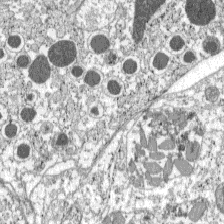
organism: C57BL Mouse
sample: Pancreatic islet